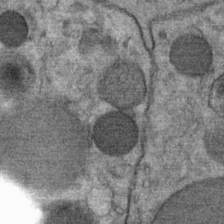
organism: Mouse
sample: Mouse Salivary gland